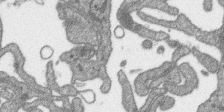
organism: Human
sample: Lung epithelial cells infected with SARS-CoV-2